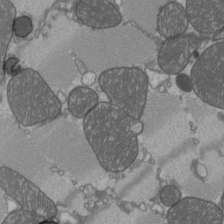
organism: C57BL Mouse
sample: Heart